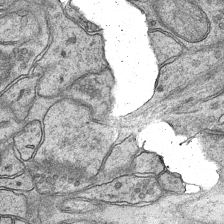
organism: Mouse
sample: CA1 Hippocampus